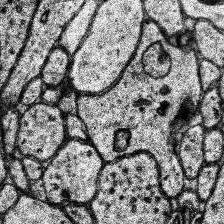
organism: Human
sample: Temporal Lobe